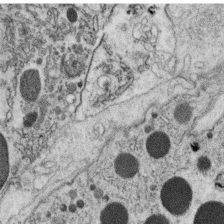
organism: C. elegans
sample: C. elegans oocyte; sperm cells